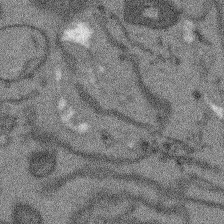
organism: Arabidopsis thaliana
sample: Root tip